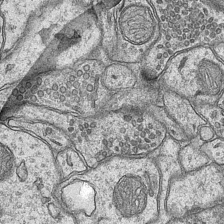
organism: Mouse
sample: CA1 Hippocampus